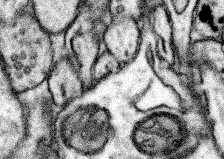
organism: Mouse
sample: Somatosensory cortex neuropil